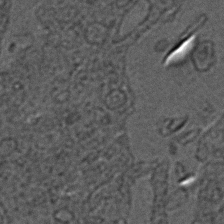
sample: Trachea